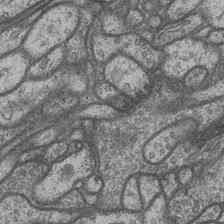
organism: Drosophila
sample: Optic medulla